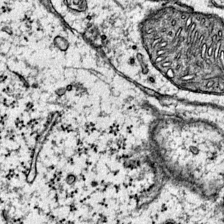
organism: Mouse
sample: Primary visual cortex